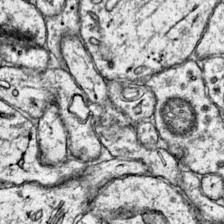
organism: Mouse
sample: Primary visual cortex